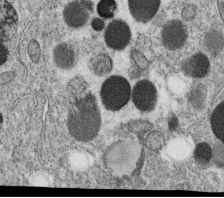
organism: C. elegans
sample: C. elegans oocyte; sperm cells